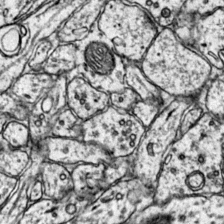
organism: Mouse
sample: Primary visual cortex